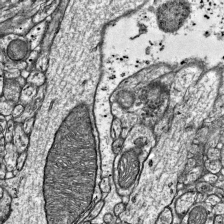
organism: Mouse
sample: Visual Cortex